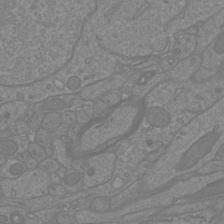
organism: Mouse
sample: Cortical neurons